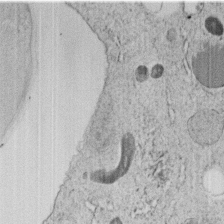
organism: C. elegans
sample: C. elegans embryo early stage